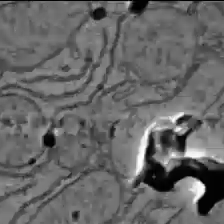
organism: C57BL Mouse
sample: Liver